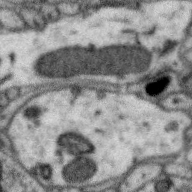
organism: Zebra finch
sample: Brain